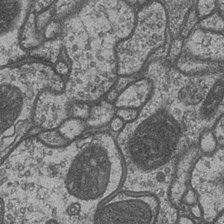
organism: Drosophila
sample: Optic medulla